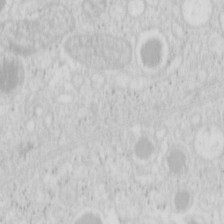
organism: Mouse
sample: Pancreas